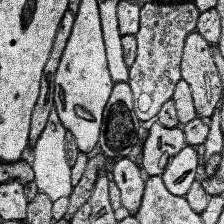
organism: Human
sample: Temporal Lobe